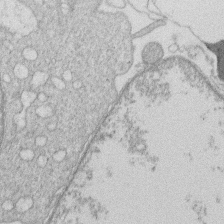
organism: Human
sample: Macrophage cells